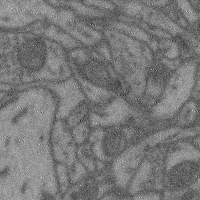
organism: Mouse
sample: Cerebral cortex